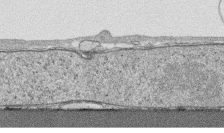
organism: Human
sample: CRL-1474